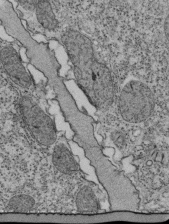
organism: Tetrahymena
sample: Cilia in tetrahymena